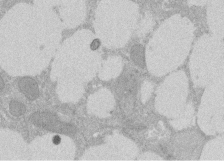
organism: Rat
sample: Salivary granule